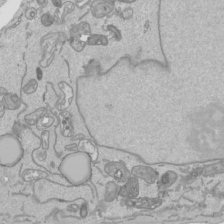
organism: Human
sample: Mitochondria in HCT116 cells